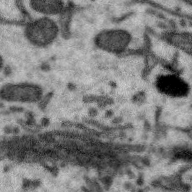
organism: Zebra finch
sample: Brain